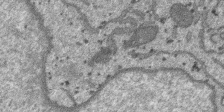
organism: Human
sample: Lung epithelial cells infected with SARS-CoV-2